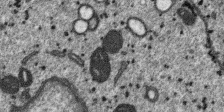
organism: Human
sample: Lung epithelial cells infected with SARS-CoV-2